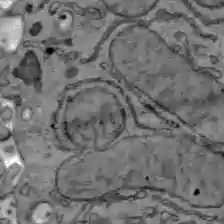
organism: C57BL Mouse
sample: Liver